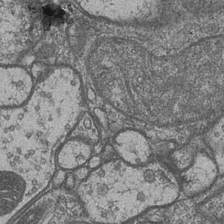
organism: Drosophila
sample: Optic medulla